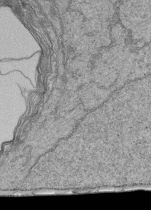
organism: Human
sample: Retinal organoid Rod and Cone cells